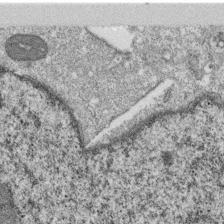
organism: African green monkey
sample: Vero E6 cells infected with SARS-CoV-2